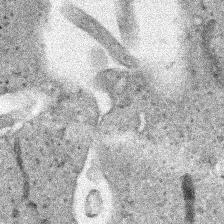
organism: Human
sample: Mitochondria in HCT116 cells